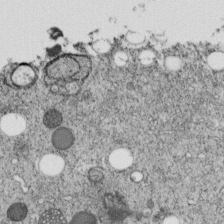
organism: C. elegans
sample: C. elegans embryo early stage